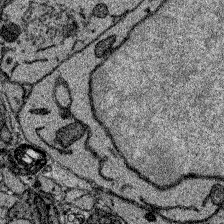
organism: Zebrafish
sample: Larval olfactory bulb